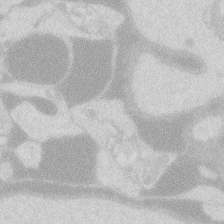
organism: Zebrafish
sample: Macrophage